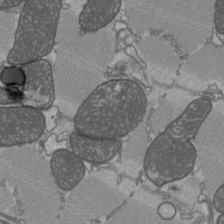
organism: C57BL Mouse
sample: Heart